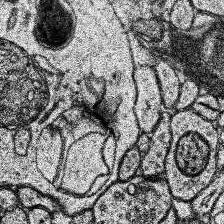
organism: Human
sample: Temporal Lobe